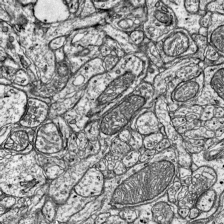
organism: Mouse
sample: Visual Cortex